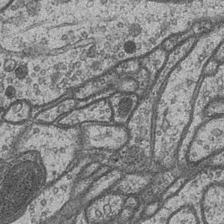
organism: Drosophila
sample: Optic medulla